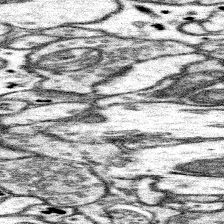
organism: Mouse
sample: Somatosensory cortex neuropil